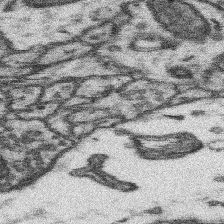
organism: Mouse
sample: Somatosensory cortex neuropil